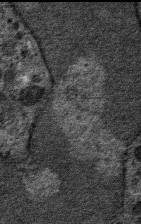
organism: Mouse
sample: Mouse hepatocytes